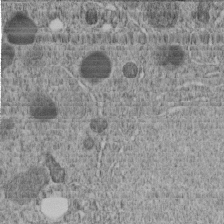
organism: C. elegans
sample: C. elegans embryo early stage